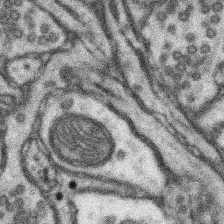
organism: Mouse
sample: Somatosensory cortex neuropil